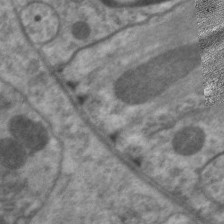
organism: C. elegans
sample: Pharynx